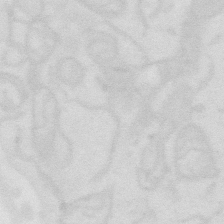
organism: Human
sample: HeLa cells